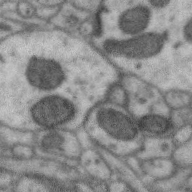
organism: Zebra finch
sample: Brain